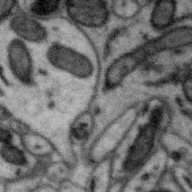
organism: Zebra finch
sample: Brain